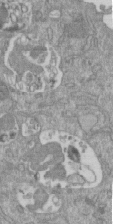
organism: Mouse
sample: ED-1 cell nuclei; centrioles